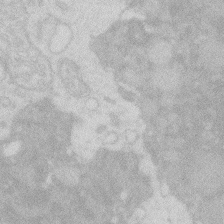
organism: Zebrafish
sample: Macrophage